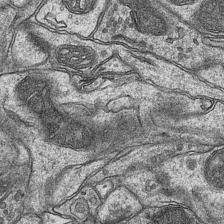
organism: Mouse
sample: CA1 Hippocampus